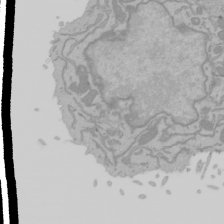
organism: Mouse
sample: Cancer cell death in ED-1 cells